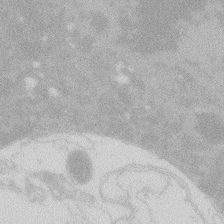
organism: Zebrafish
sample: Macrophage